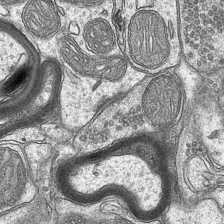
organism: Mouse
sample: CA1 Hippocampus